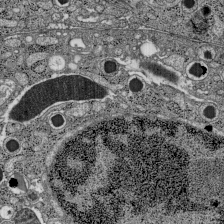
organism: C57BL Mouse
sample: Pancreatic islet